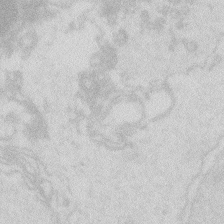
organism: Zebrafish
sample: Macrophage